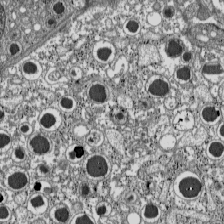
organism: C57BL Mouse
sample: Pancreatic islet